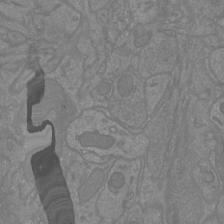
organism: Mouse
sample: Cortical neurons